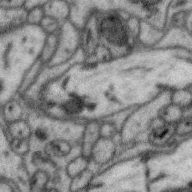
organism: Zebra finch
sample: Brain